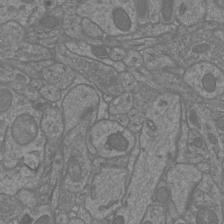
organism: Mouse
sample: Cortical neurons